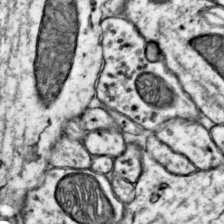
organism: Mouse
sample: Primary visual cortex